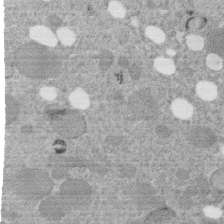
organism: C. elegans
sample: C. elegans embryo early stage